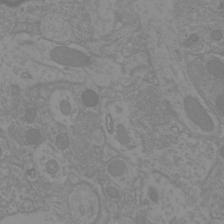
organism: Mouse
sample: Cortical neurons